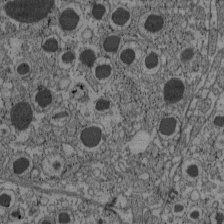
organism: C57BL Mouse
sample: Pancreatic islet